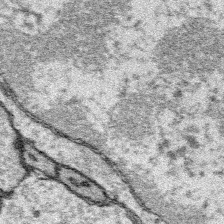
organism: Platynereis dumerilii